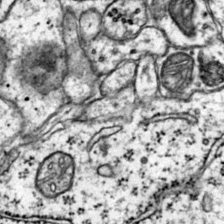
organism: Mouse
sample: Primary visual cortex